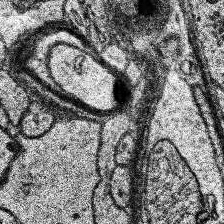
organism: Human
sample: Temporal Lobe